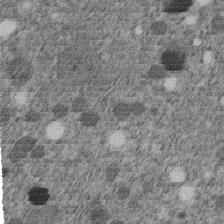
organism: C. elegans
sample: C. elegans embryo early stage